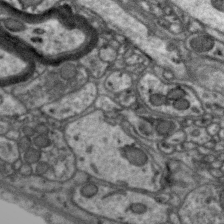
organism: Zebra finch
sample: Brain